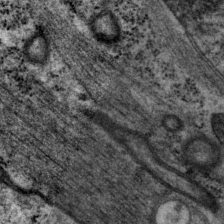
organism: P. pacificus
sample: Pharynx